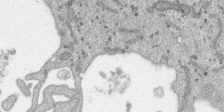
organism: Human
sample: Lung epithelial cells infected with SARS-CoV-2